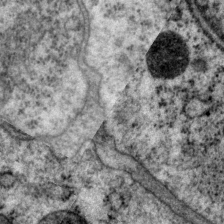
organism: P. pacificus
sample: Pharynx